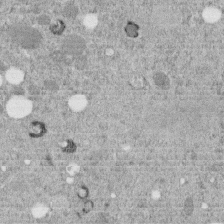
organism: C. elegans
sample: C. elegans embryo early stage